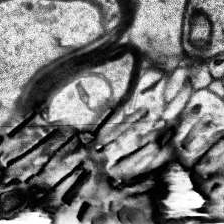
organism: Human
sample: Temporal Lobe